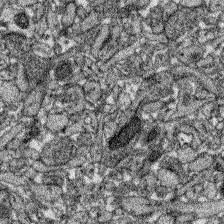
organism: Zebrafish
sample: Larval olfactory bulb